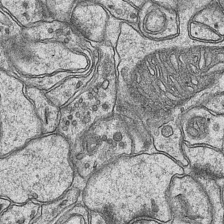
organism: Mouse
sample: CA1 Hippocampus